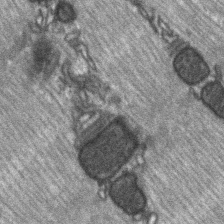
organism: C57BL Mouse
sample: Soleus